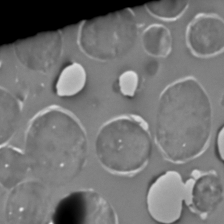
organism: C. elegans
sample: C. elegans embryo